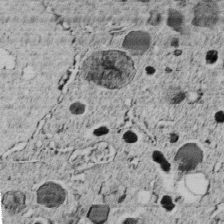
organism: C. elegans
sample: C. elegans embryo early stage